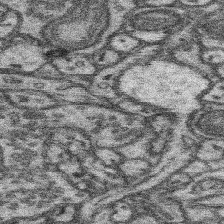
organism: Mouse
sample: Somatosensory cortex neuropil